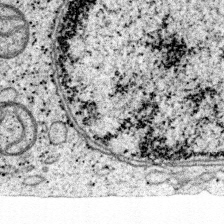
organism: Human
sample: HeLa cells